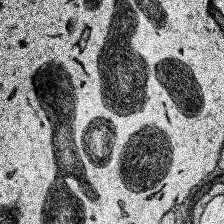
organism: Human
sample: Temporal Lobe